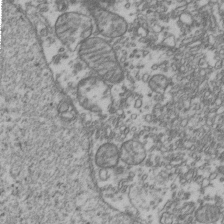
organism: Human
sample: Activated Jurkat CD4+ T cells